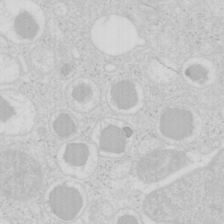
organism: Mouse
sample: Pancreas